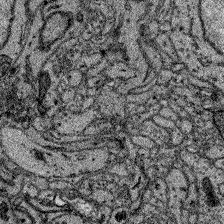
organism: Zebrafish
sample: Larval olfactory bulb